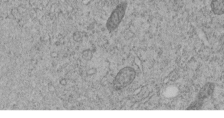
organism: C. elegans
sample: C. elegans embryo early stage